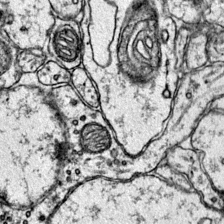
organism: Mouse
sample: Primary visual cortex